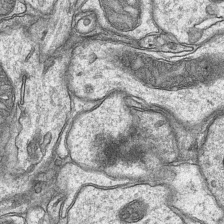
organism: Mouse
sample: CA1 Hippocampus